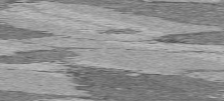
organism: C57BL Mouse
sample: Heart